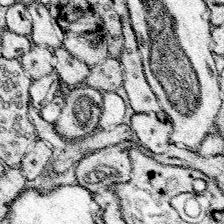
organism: Mouse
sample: Somatosensory cortex neuropil